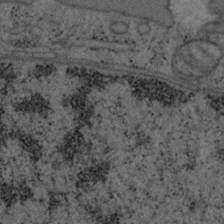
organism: Human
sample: HeLa cells